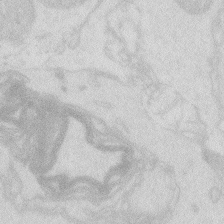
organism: Zebrafish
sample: Macrophage